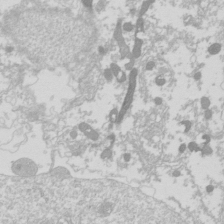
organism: Drosophila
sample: Cell division; meiosis; drosophila spermatocytes